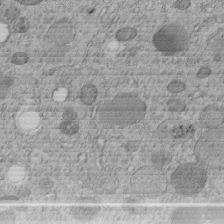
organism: C. elegans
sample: C. elegans embryo early stage